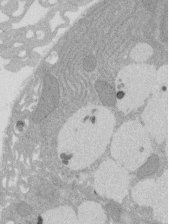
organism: Rat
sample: Salivary granule